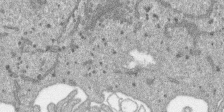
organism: Human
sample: Lung epithelial cells infected with SARS-CoV-2